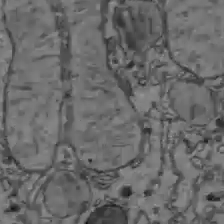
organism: C57BL Mouse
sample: Liver